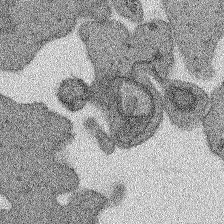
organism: Human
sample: HeLa cells